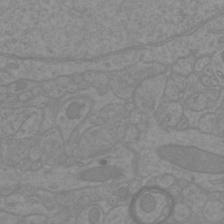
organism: Mouse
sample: Cortical neurons